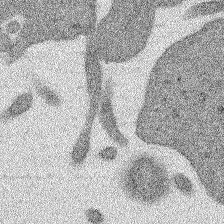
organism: Human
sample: HeLa cells